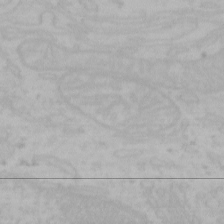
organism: Mouse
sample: Choroid plexus